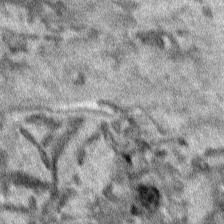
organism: Human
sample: Mitochondria in HCT116 cells